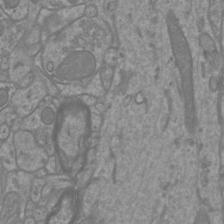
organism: Mouse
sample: Cortical neurons